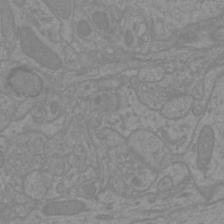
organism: Mouse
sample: Cortical neurons